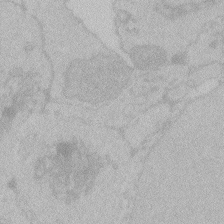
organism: Zebrafish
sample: Macrophage infected with Toxoplasma gondii